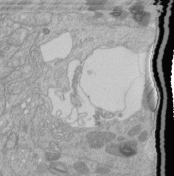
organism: Human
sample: Retinal organoid Rod and Cone cells